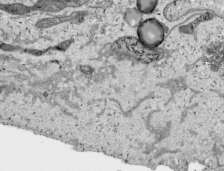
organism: Human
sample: Mitochondria in HCT116 cells